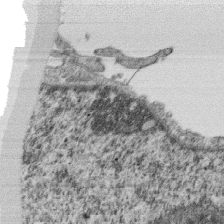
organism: African green monkey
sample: Vero E6 cells infected with SARS-CoV-2